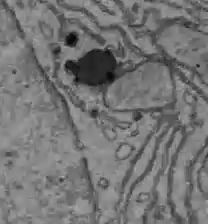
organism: C57BL Mouse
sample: Liver